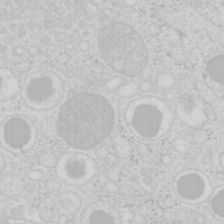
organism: Mouse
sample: Pancreas